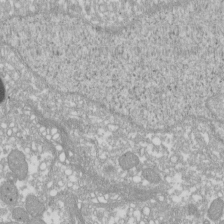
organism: Xenopus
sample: Cilia; centrioles in frog embryo cells